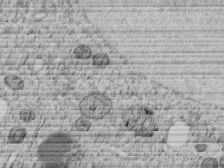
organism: C. elegans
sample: C. elegans embryo early stage